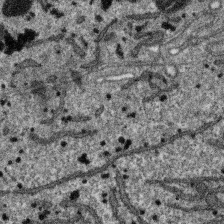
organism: Human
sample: Lung epithelial cells infected with SARS-CoV-2